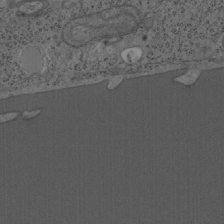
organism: Human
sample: HeLa cells